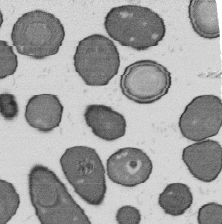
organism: B. subtilis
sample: Bacterial spore